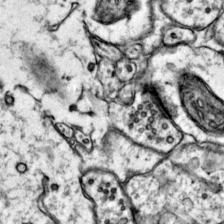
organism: Mouse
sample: Primary visual cortex